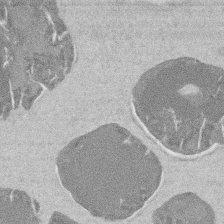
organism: Mouse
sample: T cell stromal cell synapse